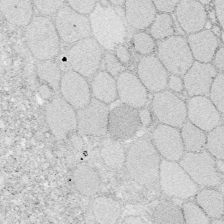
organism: Zebrafish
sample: Whole-Brain